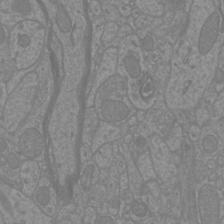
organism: Mouse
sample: Cortical neurons